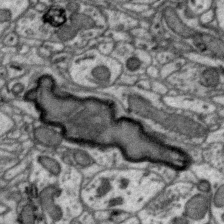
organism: Zebra finch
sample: Brain